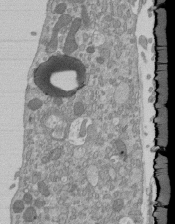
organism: Mouse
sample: ED-1 cell nuclei; centrioles